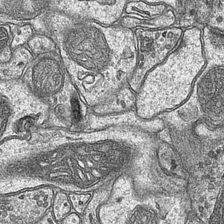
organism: Mouse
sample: CA1 Hippocampus